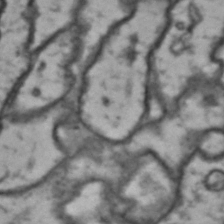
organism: Drosophila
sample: Brain